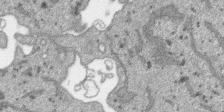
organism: Human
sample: Lung epithelial cells infected with SARS-CoV-2